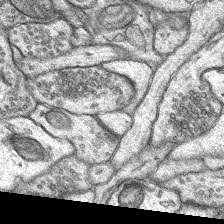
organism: Rat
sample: Hippocampus